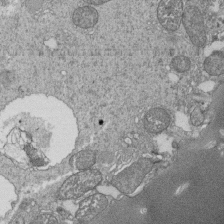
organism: Tetrahymena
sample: Cilia in tetrahymena